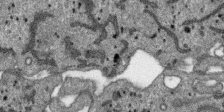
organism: Human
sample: Lung epithelial cells, uninfected (mock) control